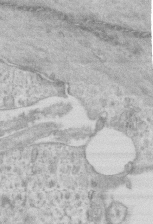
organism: Mouse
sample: Centriole in ependymal cells